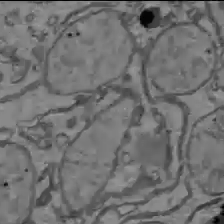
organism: C57BL Mouse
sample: Liver